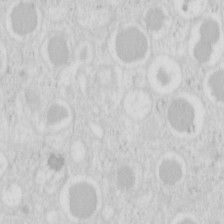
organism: Mouse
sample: Pancreas